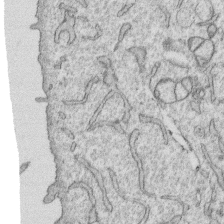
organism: Human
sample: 1205lu cells